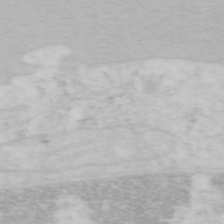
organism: Mouse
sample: OT-I killer T cells with ID8 ovarian cancer cells